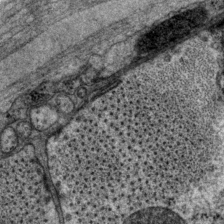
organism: P. pacificus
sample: Pharynx